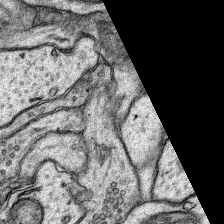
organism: Rat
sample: Hippocampus